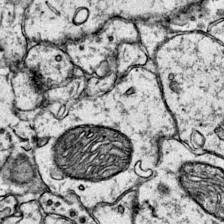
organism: Mouse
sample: Primary visual cortex